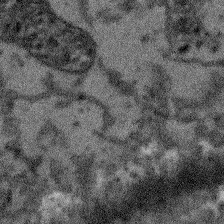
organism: Arabidopsis thaliana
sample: Root tip